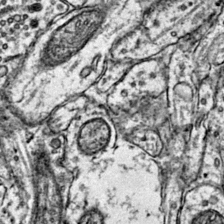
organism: Mouse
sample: Primary visual cortex